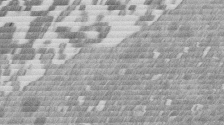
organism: Mouse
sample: Dividing mouse embryo 1 cell stage